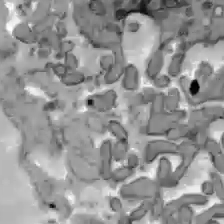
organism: C57BL Mouse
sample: Liver